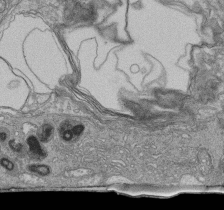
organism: Human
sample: Retinal organoid Rod and Cone cells